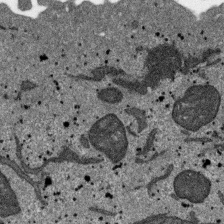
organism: Human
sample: Lung epithelial cells, uninfected (mock) control